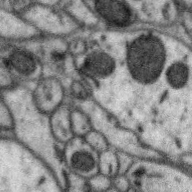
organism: Zebra finch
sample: Brain